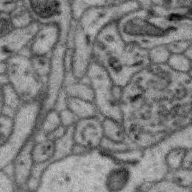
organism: Zebra finch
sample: Brain